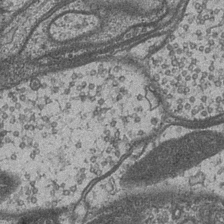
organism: Drosophila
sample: Optic medulla